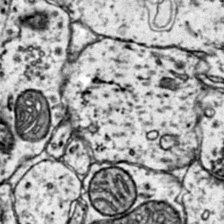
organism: Mouse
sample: Primary visual cortex